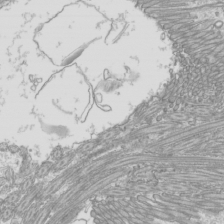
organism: Mouse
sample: Cilia; mouse epididymis